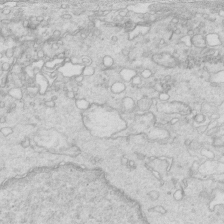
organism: Mouse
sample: Multiciliated cells